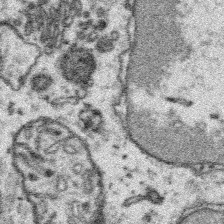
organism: Platynereis dumerilii